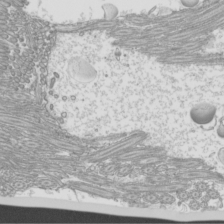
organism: Mouse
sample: Cilia; mouse epididymis